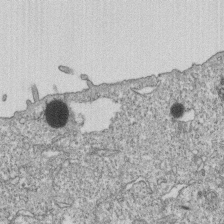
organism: Human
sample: HeLa cell HIV synapse